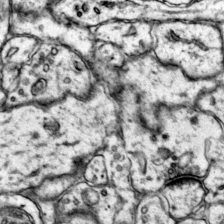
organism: Mouse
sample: Primary visual cortex